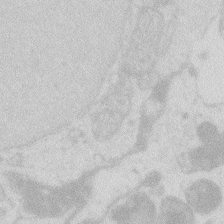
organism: Zebrafish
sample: Macrophage